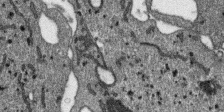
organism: Human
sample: Lung epithelial cells infected with SARS-CoV-2